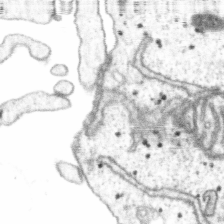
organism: Human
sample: HeLa cells